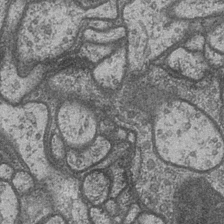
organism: Drosophila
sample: Optic medulla